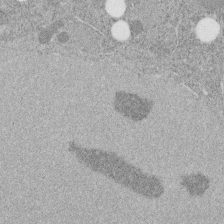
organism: C. elegans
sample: C. elegans embryo early stage